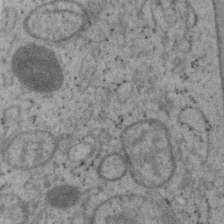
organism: Human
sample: HeLa cells